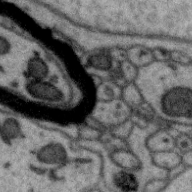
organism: Zebra finch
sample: Brain